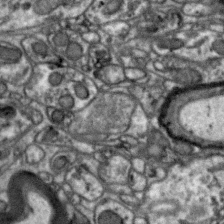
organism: Zebra finch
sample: Brain